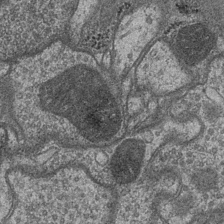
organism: Drosophila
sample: Optic medulla